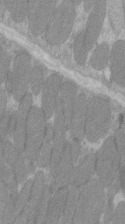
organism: C57BL Mouse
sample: Tibialis anterior muscle cell